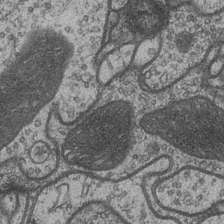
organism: Drosophila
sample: Optic medulla